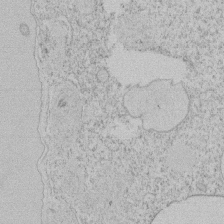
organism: Tetrahymena